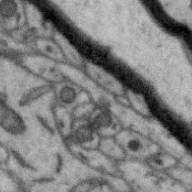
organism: Zebra finch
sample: Brain